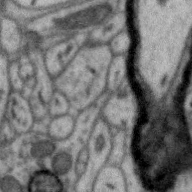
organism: Zebra finch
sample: Brain